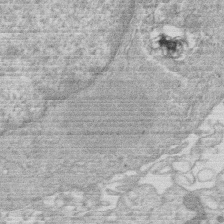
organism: Human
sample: Macrophage cells